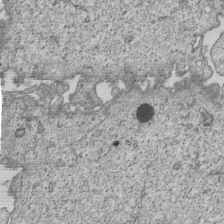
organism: Human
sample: MDA-MB-231 cells